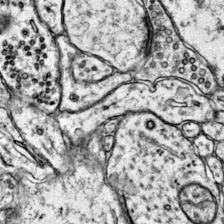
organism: Mouse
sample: Primary visual cortex